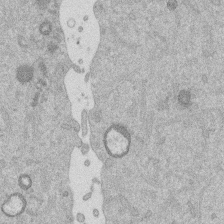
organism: Mouse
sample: Dividing mouse embryo 1 cell stage